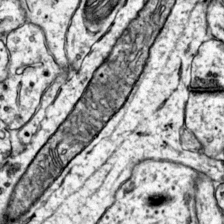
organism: Mouse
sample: Primary visual cortex